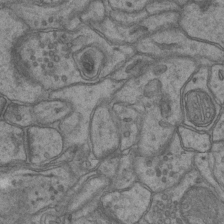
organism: Mouse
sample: CA1 Hippocampus